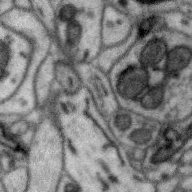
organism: Zebra finch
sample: Brain